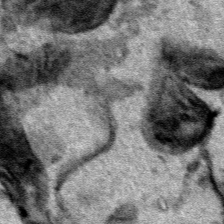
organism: Human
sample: Mitochondria in HCT116 cells